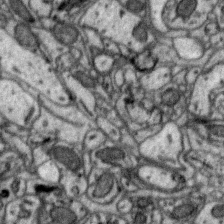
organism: Zebra finch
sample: Brain